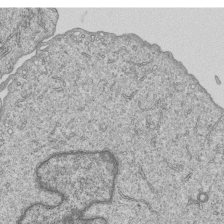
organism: Human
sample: MDA-MB-231 cells